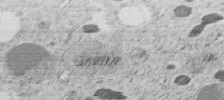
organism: C. elegans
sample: C. elegans embryo early stage